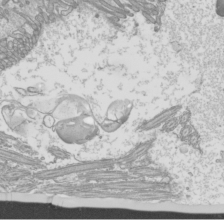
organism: Mouse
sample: Cilia; mouse epididymis